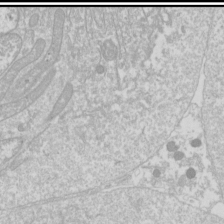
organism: Drosophila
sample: Cell division; meiosis; drosophila spermatocytes